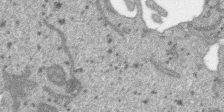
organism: Human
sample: Lung epithelial cells infected with SARS-CoV-2